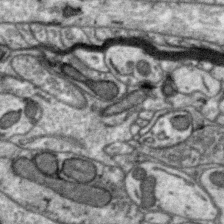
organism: Zebra finch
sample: Brain